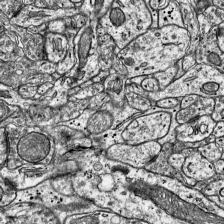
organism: Mouse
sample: Visual Cortex